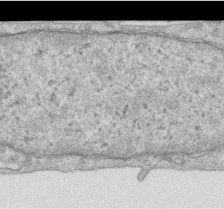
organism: Human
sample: Centriole in RPE cells